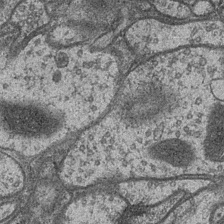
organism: Drosophila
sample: Optic medulla